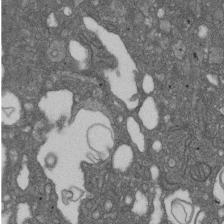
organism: Drosophila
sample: Nephrocyte